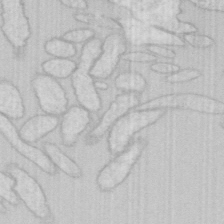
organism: Human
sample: HeLa cells